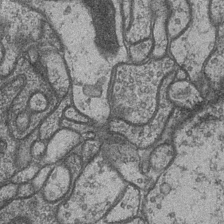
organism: Drosophila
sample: Optic medulla